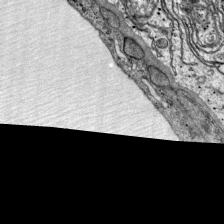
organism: Mouse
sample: Visual Cortex